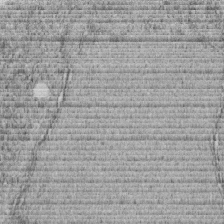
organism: C. elegans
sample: C. elegans embryo early stage